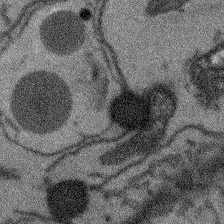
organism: Arabidopsis thaliana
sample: Root tip